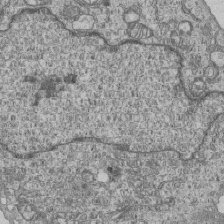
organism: Human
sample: MDA-MB-231 cells